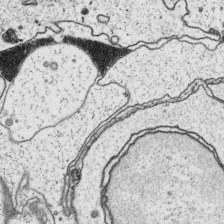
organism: Platynereis dumerilii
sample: Parapodia